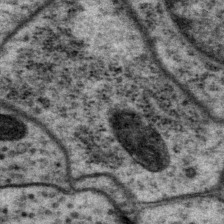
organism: P. pacificus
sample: Pharynx